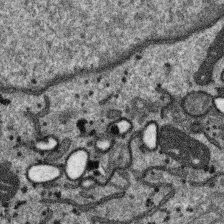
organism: Human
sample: Lung epithelial cells infected with SARS-CoV-2